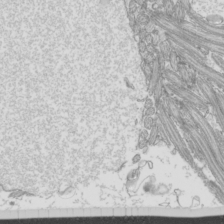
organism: Mouse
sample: Cilia; mouse epididymis